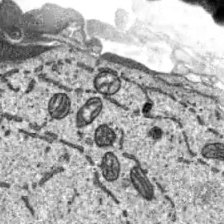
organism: Human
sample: HeLa cells